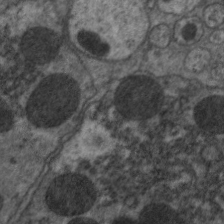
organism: C. elegans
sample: Pharynx